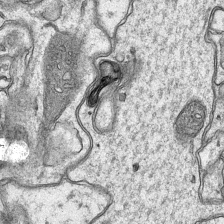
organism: Mouse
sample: CA1 Hippocampus